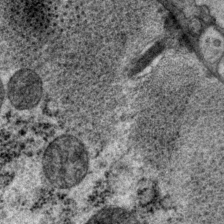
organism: P. pacificus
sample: Pharynx